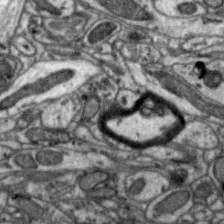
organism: Zebra finch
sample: Brain